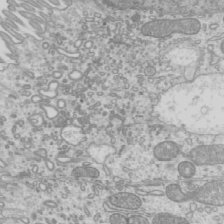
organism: Mouse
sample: Cilia; mouse epididymis